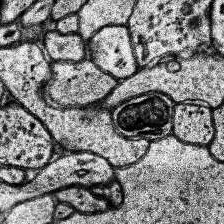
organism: Human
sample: Temporal Lobe